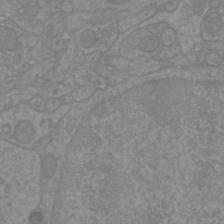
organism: Mouse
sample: Cortical neurons